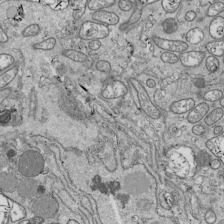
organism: Drosophila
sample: Cell division; meiosis; drosophila spermatocytes